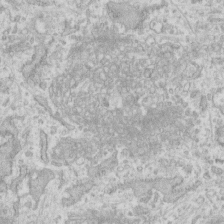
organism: Human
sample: Fibroblast cells